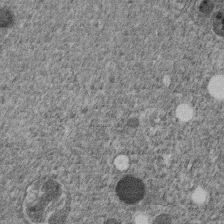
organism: C. elegans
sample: C. elegans embryo early stage